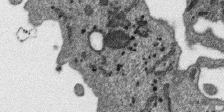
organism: Human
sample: Lung epithelial cells infected with SARS-CoV-2